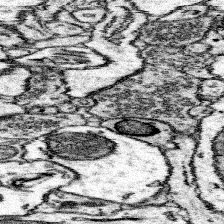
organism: Mouse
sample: Somatosensory cortex neuropil